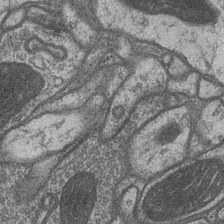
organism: Drosophila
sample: Optic medulla